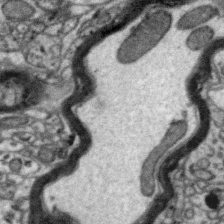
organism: Zebra finch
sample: Brain